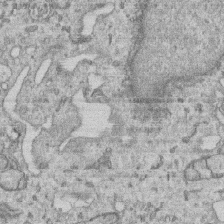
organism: Human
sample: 1205lu cells